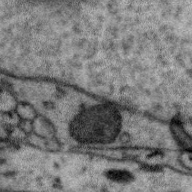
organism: Zebra finch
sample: Brain